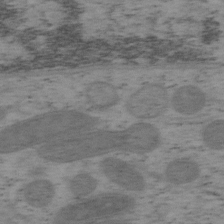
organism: Mouse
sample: OT-I killer T cells with ID8 ovarian cancer cells